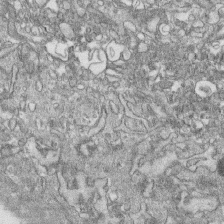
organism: Human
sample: CRL-1474